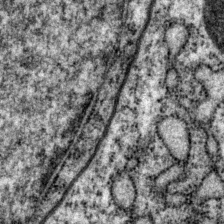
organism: P. pacificus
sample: Pharynx